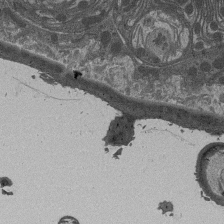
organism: Drosophila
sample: Antenna